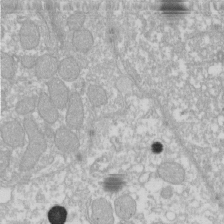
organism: Xenopus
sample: Cilia; centrioles in frog embryo cells